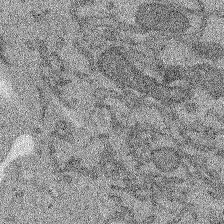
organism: Human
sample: HeLa cells